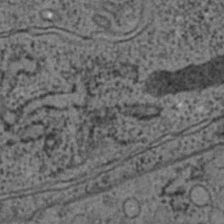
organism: C. elegans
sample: C. elegans embryo